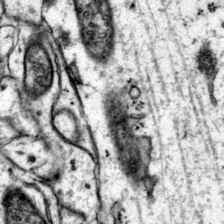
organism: Mouse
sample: Primary visual cortex